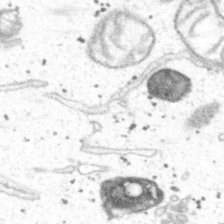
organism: Human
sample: HeLa cells